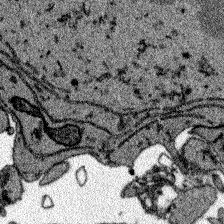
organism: Zebrafish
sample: Larval olfactory bulb